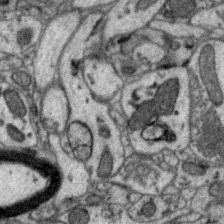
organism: Zebra finch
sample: Brain